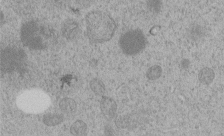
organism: C. elegans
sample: C. elegans embryo early stage